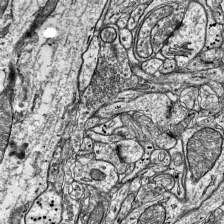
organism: Mouse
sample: Visual Cortex